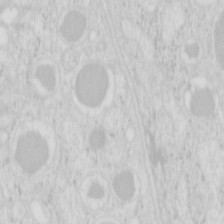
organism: Mouse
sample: Pancreas